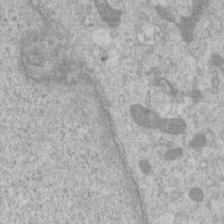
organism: Human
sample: Centriole in RPE cells